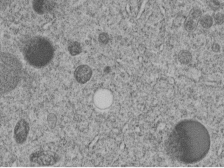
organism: C. elegans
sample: C. elegans embryo early stage